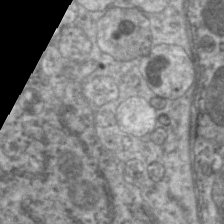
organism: C. elegans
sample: Pharynx